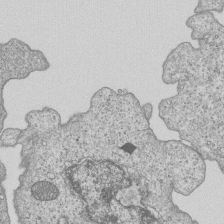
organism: Human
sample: MDA-MB-231 cells